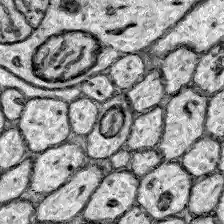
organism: Zebrafish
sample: Brain